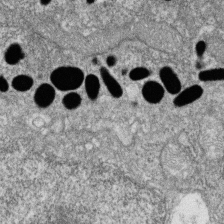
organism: Zebrafish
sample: Cilia; retinal pigment epithelium